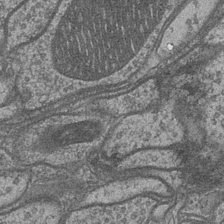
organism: Drosophila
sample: Optic medulla